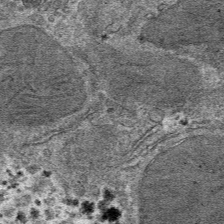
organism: Mouse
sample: Mouse hepatocytes